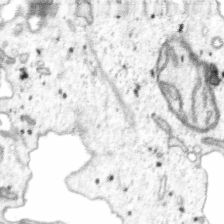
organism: Human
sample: HeLa cells